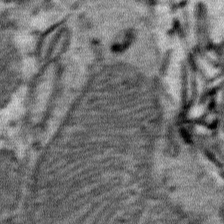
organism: Mouse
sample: Mouse Salivary gland